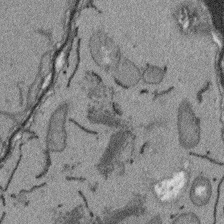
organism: Arabidopsis thaliana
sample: Root tip